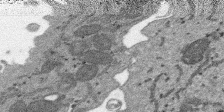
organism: Human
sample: Lung epithelial cells infected with SARS-CoV-2